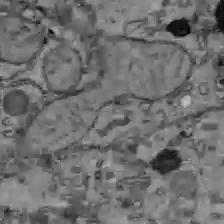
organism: C57BL Mouse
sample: Liver